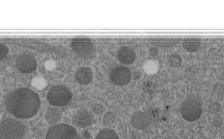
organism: C. elegans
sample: C. elegans embryo early stage